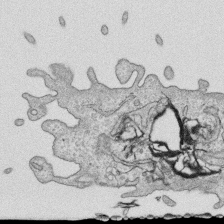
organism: Human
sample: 1205lu cells